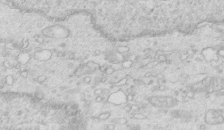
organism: Mouse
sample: Multiciliated cells